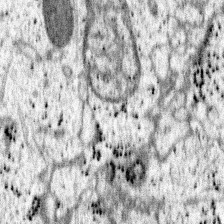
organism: Human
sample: HeLa cells